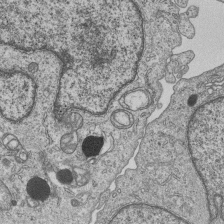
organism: Human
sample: MDA-MB-231 cells